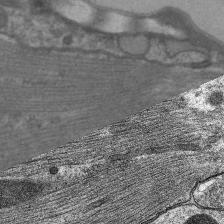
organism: C. elegans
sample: Pharynx